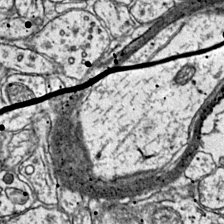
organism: Mouse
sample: Primary visual cortex